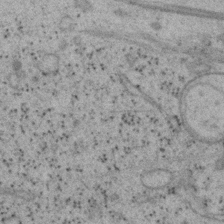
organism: Human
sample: HeLa cells